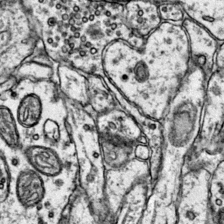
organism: Mouse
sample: Primary visual cortex